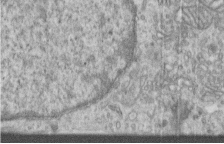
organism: Human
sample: Centriole in RPE cells